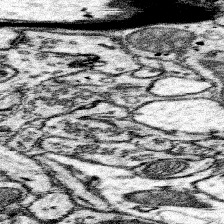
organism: Mouse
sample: Somatosensory cortex neuropil